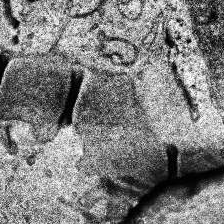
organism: Human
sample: Temporal Lobe